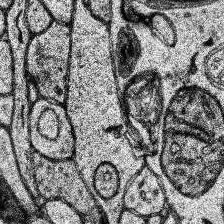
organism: Human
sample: Temporal Lobe